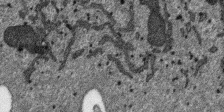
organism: Human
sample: Lung epithelial cells infected with SARS-CoV-2